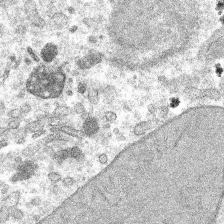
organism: Mouse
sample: Mouse hepatocytes